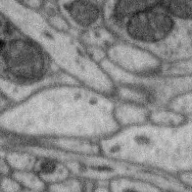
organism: Zebra finch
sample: Brain